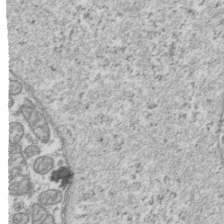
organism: Human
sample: Activated Jurkat CD4+ T cells